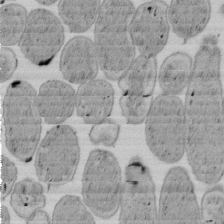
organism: E. coli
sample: Bacterial nucleoid